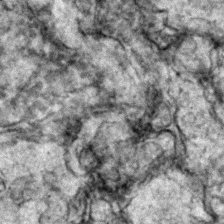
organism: Zebrafish